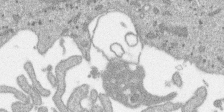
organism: Human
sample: Lung epithelial cells infected with SARS-CoV-2